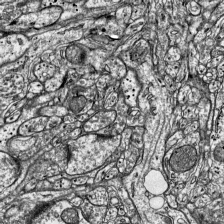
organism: Mouse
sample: Visual Cortex